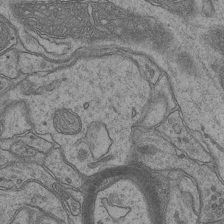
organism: Mouse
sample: CA1 Hippocampus